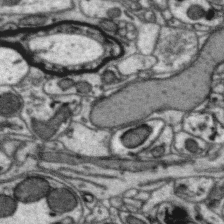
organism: Zebra finch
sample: Brain